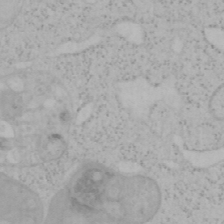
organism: Mouse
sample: OT-I killer T cells with ID8 ovarian cancer cells